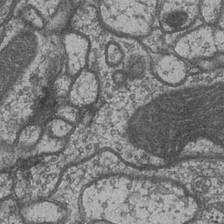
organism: Drosophila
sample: Optic medulla